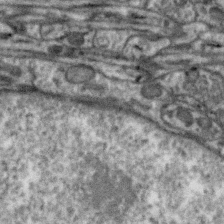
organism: Zebra finch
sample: Brain